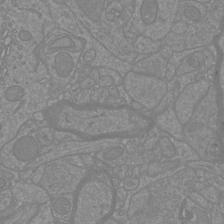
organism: Mouse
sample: Cortical neurons